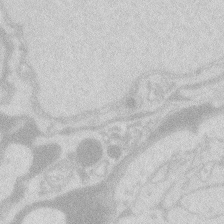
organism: Zebrafish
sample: Macrophage